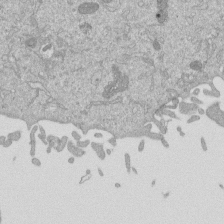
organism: Mouse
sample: ED-1 cell nuclei; centrioles